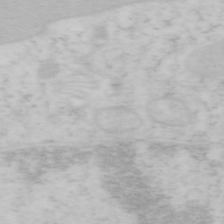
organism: Mouse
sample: OT-I killer T cells with ID8 ovarian cancer cells